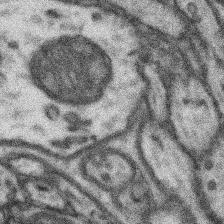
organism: Mouse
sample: Somatosensory cortex neuropil